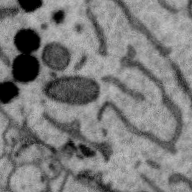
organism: Zebra finch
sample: Brain